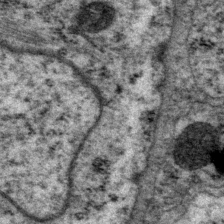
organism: P. pacificus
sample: Pharynx